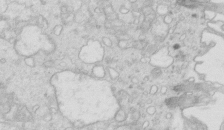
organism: Mouse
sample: Multiciliated cells